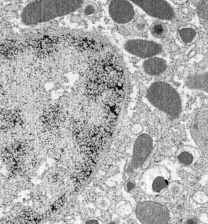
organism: C57BL Mouse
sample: Pancreatic islet